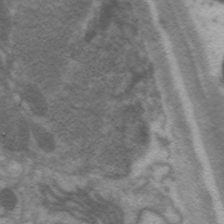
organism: C. elegans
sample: Pharynx